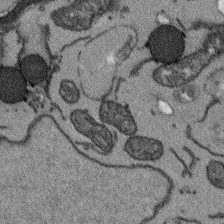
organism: Arabidopsis thaliana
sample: Root tip